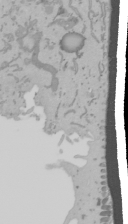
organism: Mouse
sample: Cancer cell death in ED-1 cells